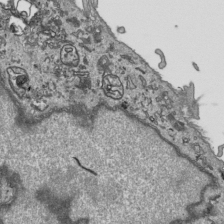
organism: Human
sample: Mitochondria in HCT116 cells